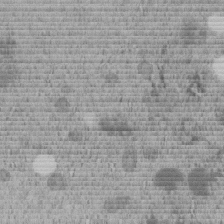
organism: C. elegans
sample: C. elegans embryo early stage